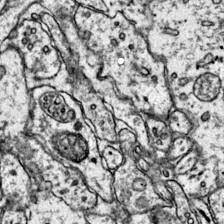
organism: Mouse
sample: Primary visual cortex